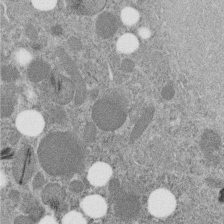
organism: C. elegans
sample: C. elegans embryo early stage